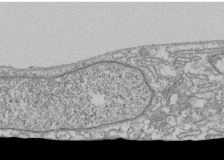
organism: Human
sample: Fibroblast cells